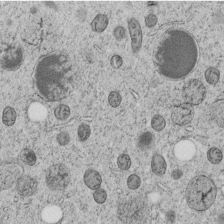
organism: C. elegans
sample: C. elegans embryo early stage